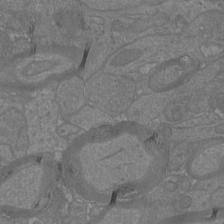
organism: Mouse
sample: Cortical neurons